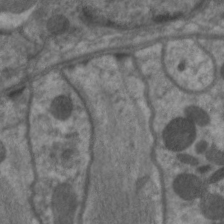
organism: C. elegans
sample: Pharynx